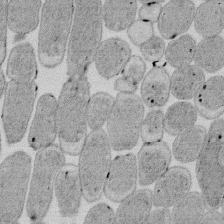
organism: E. coli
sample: Bacterial nucleoid